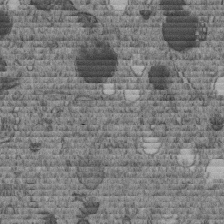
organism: C. elegans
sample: C. elegans embryo early stage